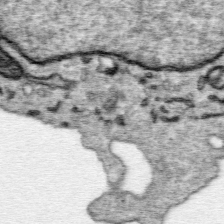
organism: Human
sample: HeLa cells